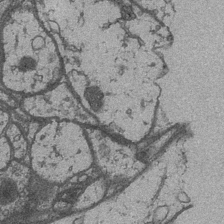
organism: Drosophila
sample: Optic medulla